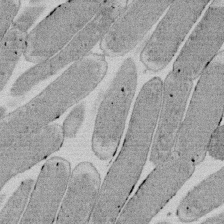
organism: E. coli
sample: Bacterial nucleoid